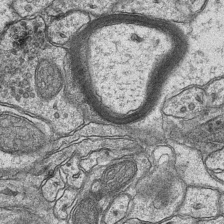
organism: Mouse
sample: CA1 Hippocampus